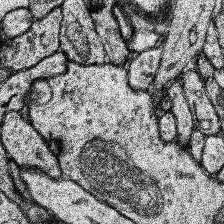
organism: Human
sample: Temporal Lobe